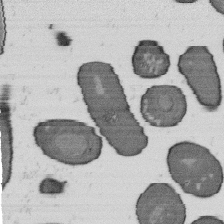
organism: B. subtilis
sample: Bacterial spore